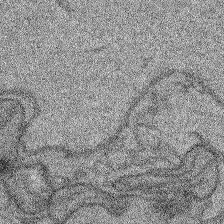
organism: Human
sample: HeLa cells